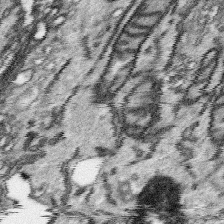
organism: Human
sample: HeLa cells